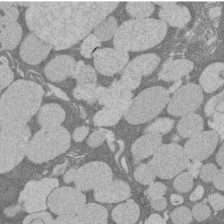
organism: Rat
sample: Salivary granule